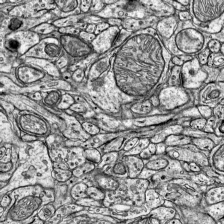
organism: Mouse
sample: Visual Cortex